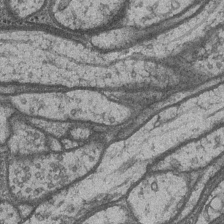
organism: Drosophila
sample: Optic medulla